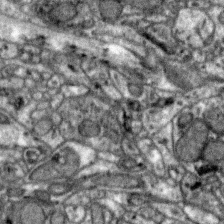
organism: Zebra finch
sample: Brain